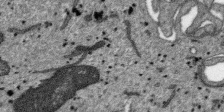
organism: Human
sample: Lung epithelial cells, uninfected (mock) control